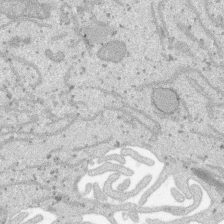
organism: Human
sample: Lung epithelial cells infected with SARS-CoV-2